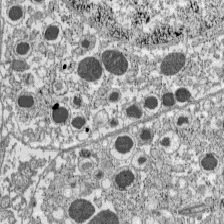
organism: C57BL Mouse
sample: Pancreatic islet